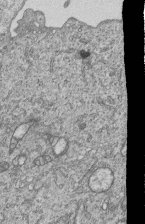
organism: Human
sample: MDA-MB-231 cells